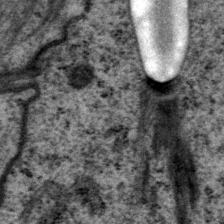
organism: P. pacificus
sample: Pharynx